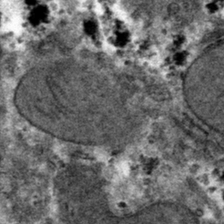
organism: Mouse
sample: Mouse hepatocytes